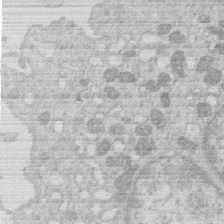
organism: Human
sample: Macrophage cells